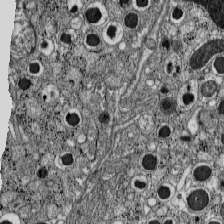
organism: C57BL Mouse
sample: Pancreatic islet